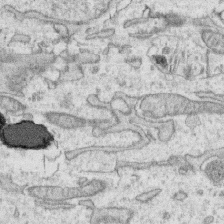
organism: Human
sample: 1205lu cells